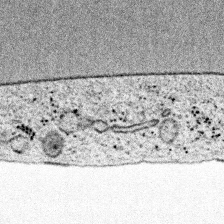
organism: Human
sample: HeLa cells